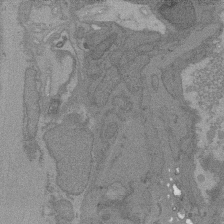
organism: C. elegans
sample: AFD neurons C. elegans